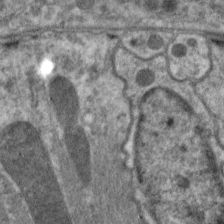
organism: C. elegans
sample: Pharynx